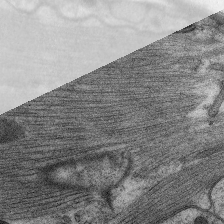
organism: C. elegans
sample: Pharynx